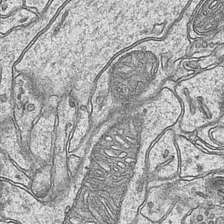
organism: Mouse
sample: CA1 Hippocampus